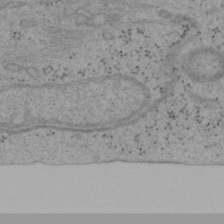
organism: Human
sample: HeLa cells